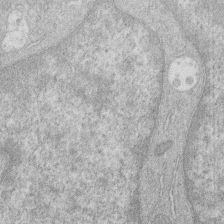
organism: Human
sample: Macrophage cells